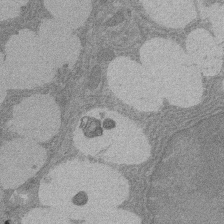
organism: Rat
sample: Salivary granule